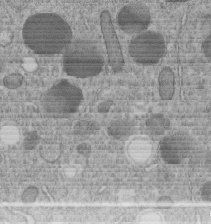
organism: C. elegans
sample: C. elegans embryo early stage